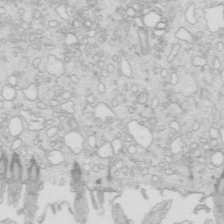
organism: Mouse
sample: Multiciliated cells